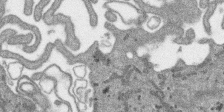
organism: Human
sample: Lung epithelial cells infected with SARS-CoV-2